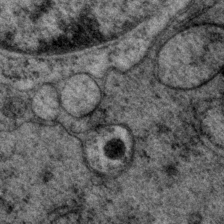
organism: P. pacificus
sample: Pharynx